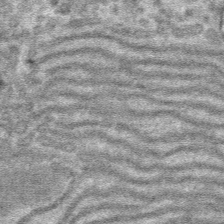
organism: Mouse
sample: Mouse hepatocytes